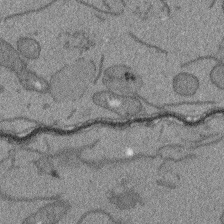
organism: Arabidopsis thaliana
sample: Root tip